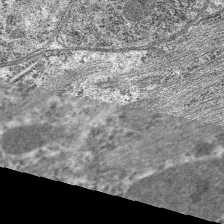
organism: C. elegans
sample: Pharynx